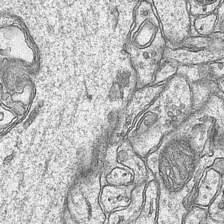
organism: Mouse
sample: CA1 Hippocampus